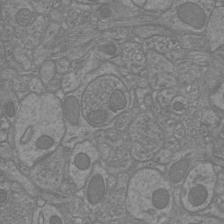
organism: Mouse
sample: Cortical neurons